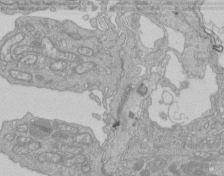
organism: Human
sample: Retinal organoid Rod and Cone cells